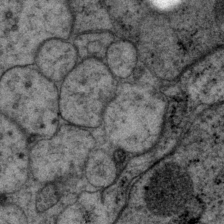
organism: P. pacificus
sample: Pharynx